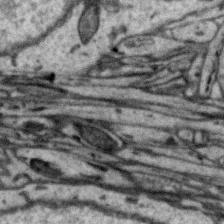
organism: Zebra finch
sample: Brain